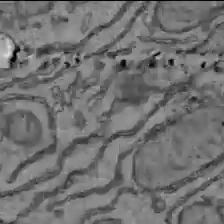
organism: C57BL Mouse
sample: Liver